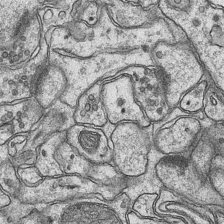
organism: Mouse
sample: CA1 Hippocampus